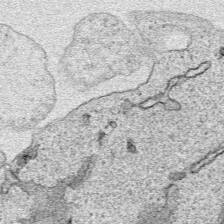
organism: Human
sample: Mitochondria in HCT116 cells